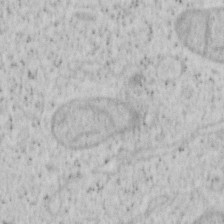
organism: Human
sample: HeLa cells